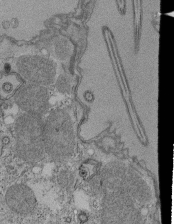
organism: Tetrahymena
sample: Cilia in tetrahymena